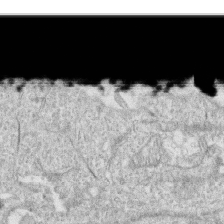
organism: Human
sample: HeLa cell HIV synapse